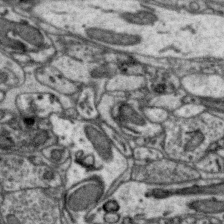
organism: Zebra finch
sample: Brain